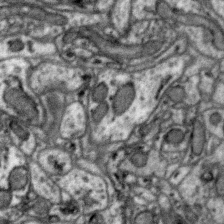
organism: Zebra finch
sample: Brain